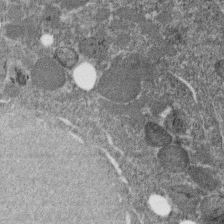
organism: C. elegans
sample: C. elegans embryo early stage